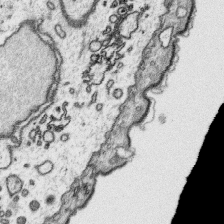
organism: Platynereis dumerilii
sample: Parapodia